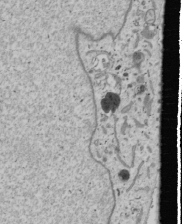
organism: Human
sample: Mitochondria in U2OS cells